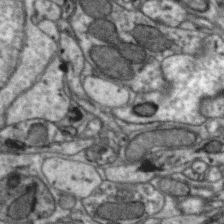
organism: Zebra finch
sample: Brain